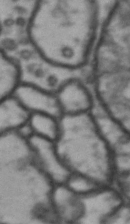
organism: Drosophila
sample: Brain